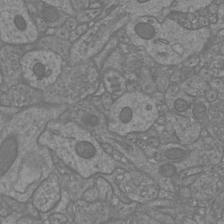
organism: Mouse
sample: Cortical neurons